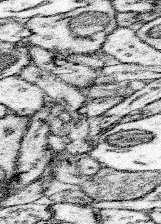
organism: Mouse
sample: Somatosensory cortex neuropil